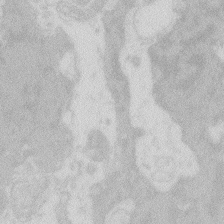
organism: Zebrafish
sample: Macrophage